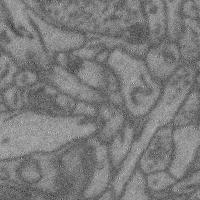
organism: Mouse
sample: Cerebral cortex